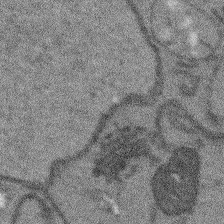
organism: Arabidopsis thaliana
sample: Root tip